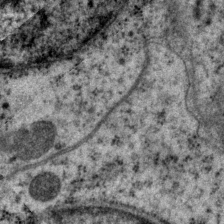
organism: P. pacificus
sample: Pharynx